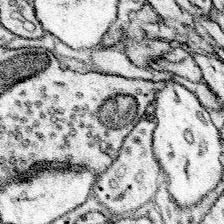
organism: Mouse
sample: Somatosensory cortex neuropil